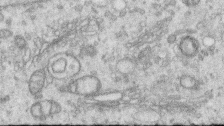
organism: Human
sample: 1205lu cells